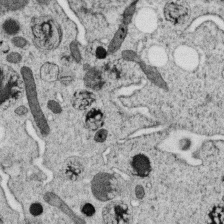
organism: C. elegans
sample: C. elegans oocyte; sperm cells